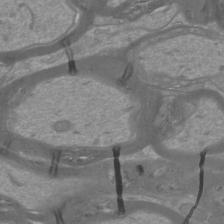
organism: Mouse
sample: Cortical neurons